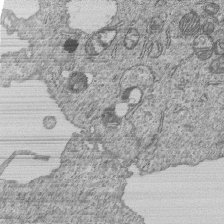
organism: Human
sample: MDA-MB-231 cells